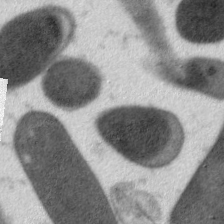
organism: C. elegans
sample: Pharynx